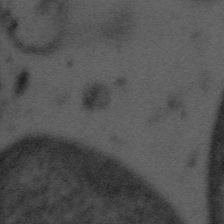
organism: Tuwongella immobilis